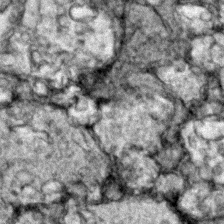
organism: Zebrafish